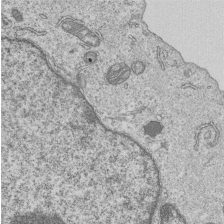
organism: Human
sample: MDA-MB-231 cells